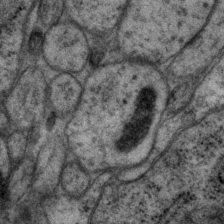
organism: P. pacificus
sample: Pharynx